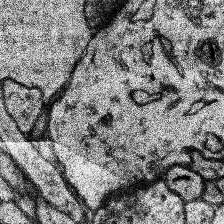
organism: Human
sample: Temporal Lobe